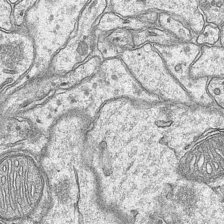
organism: Mouse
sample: CA1 Hippocampus